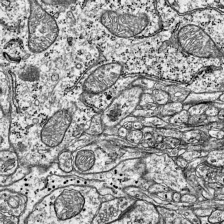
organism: Mouse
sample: Visual Cortex